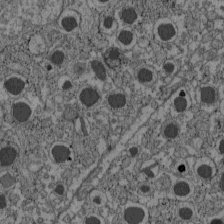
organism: C57BL Mouse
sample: Pancreatic islet